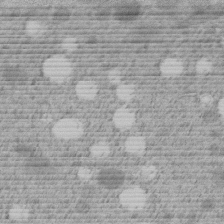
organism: C. elegans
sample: C. elegans embryo early stage